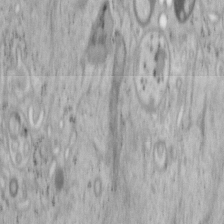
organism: Human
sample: HeLa cells